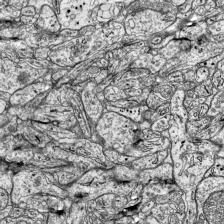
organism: Mouse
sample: Visual Cortex